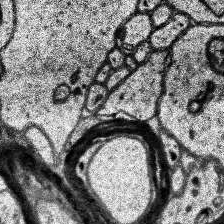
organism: Human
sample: Temporal Lobe